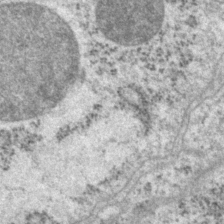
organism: P. pacificus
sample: Pharynx